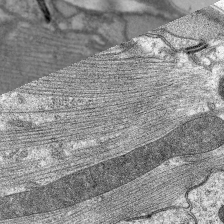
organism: C. elegans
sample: Pharynx